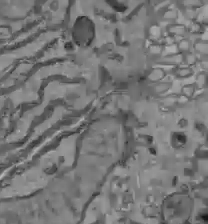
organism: C57BL Mouse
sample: Liver